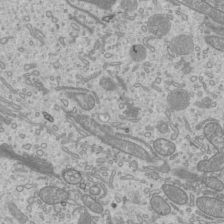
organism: Mouse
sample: Cilia; mouse epididymis